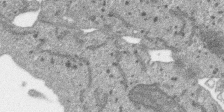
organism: Human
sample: Lung epithelial cells infected with SARS-CoV-2